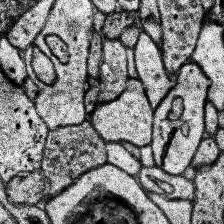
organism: Human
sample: Temporal Lobe